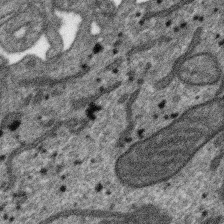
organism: Human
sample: Lung epithelial cells infected with SARS-CoV-2